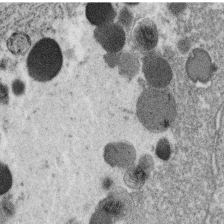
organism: C. elegans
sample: C. elegans oocyte; sperm cells